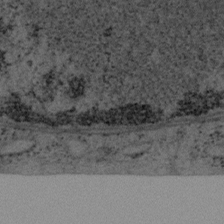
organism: Human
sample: HeLa cells